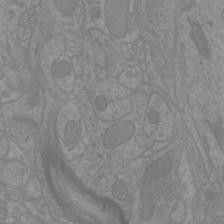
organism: Mouse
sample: Cortical neurons